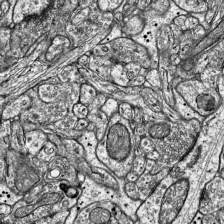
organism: Mouse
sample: Visual Cortex